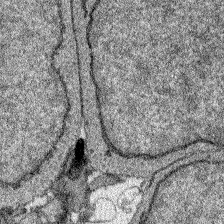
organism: Zebrafish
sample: Larval olfactory bulb